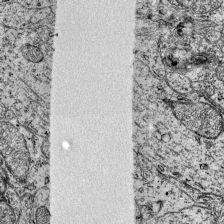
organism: Mouse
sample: Visual Cortex